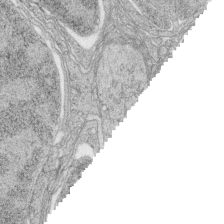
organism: Zebrafish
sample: synaptic ribbons in rod cells and cone cells